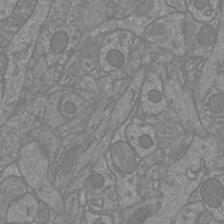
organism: Mouse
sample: Cortical neurons